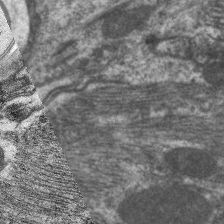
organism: C. elegans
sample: Pharynx